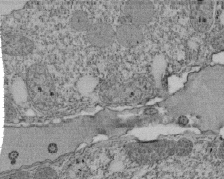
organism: Tetrahymena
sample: Cilia in tetrahymena